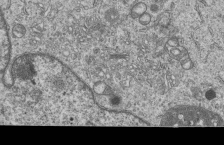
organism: Human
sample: MDA-MB-231 cells